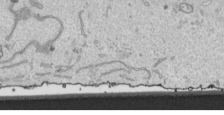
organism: Human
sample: Mitochondria in HCT116 cells